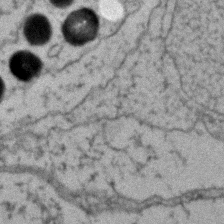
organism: Zebrafish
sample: Zebrafish embryo